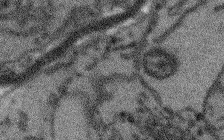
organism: Arabidopsis thaliana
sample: Root tip